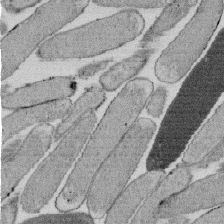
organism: E. coli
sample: Bacterial nucleoid